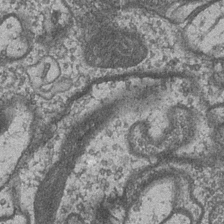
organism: Drosophila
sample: Optic medulla